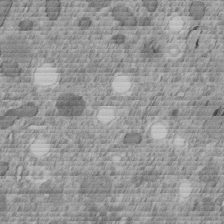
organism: C. elegans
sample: C. elegans embryo early stage